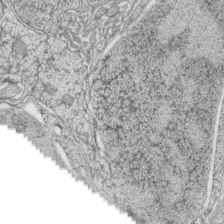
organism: Zebrafish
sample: synaptic ribbons in rod cells and cone cells